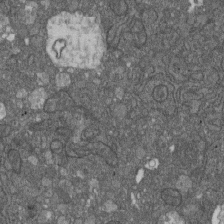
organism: Drosophila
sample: Nephrocyte